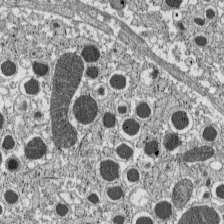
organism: C57BL Mouse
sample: Pancreatic islet